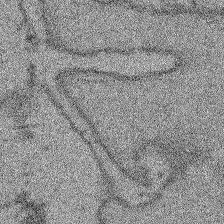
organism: Human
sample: HeLa cells